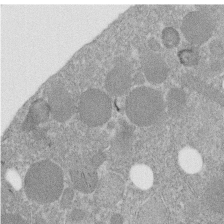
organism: C. elegans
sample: C. elegans embryo early stage